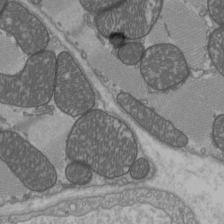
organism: C57BL Mouse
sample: Heart